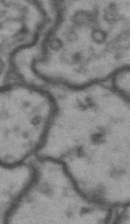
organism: Drosophila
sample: Brain